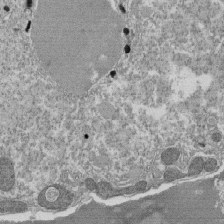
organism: Tetrahymena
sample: Cilia in tetrahymena